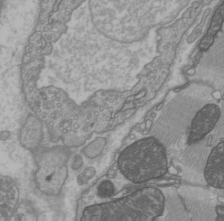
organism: C57BL Mouse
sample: Heart